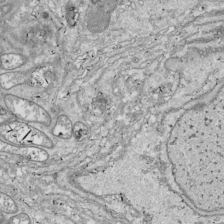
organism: Drosophila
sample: Cell division; meiosis; drosophila spermatocytes